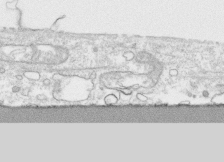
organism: Human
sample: CRL-1474